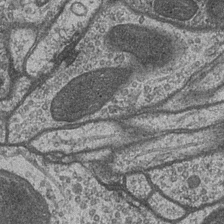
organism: Drosophila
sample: Optic medulla